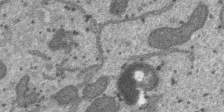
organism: Human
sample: Lung epithelial cells infected with SARS-CoV-2